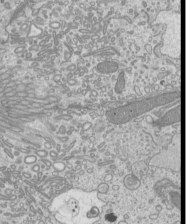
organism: Mouse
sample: Cilia; mouse epididymis